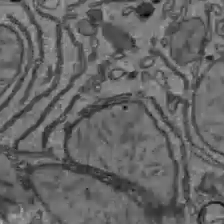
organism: C57BL Mouse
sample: Liver